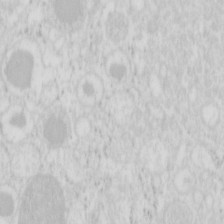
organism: Mouse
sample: Pancreas